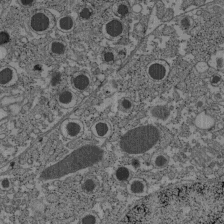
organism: C57BL Mouse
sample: Pancreatic islet